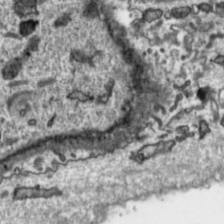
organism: Toxoplasma gondii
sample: Parasites in a vacuole inside a host cell